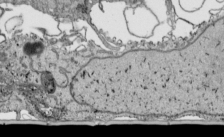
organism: Human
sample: Mitochondria in HCT116 cells